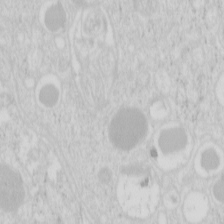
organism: Mouse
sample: Pancreas